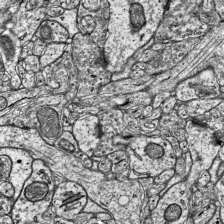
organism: Mouse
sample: Visual Cortex